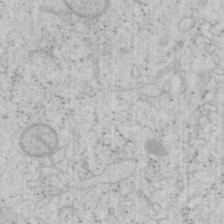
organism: Human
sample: HeLa cells